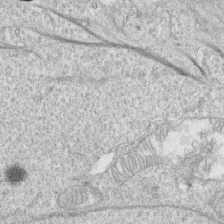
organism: Human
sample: HeLa cell HIV synapse